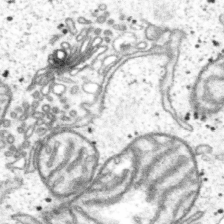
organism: Human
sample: HeLa cells